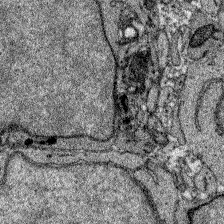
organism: Zebrafish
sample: Larval olfactory bulb